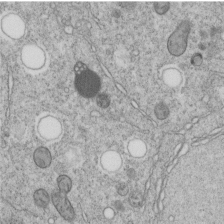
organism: C. elegans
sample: C. elegans embryo early stage